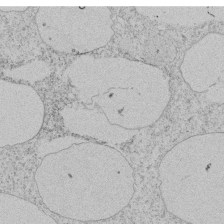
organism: Tetrahymena